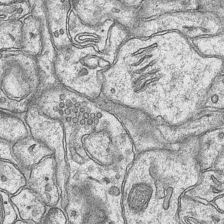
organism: Mouse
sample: CA1 Hippocampus